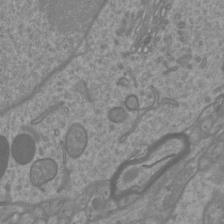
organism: Mouse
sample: Cortical neurons